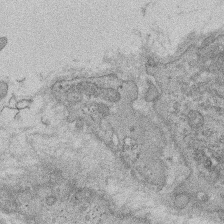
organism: Rat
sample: Salivary granule